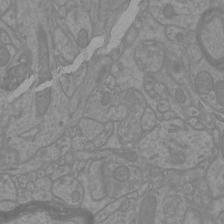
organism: Mouse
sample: Cortical neurons